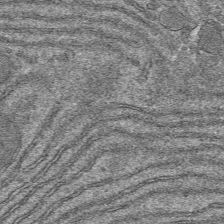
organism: Mouse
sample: Mouse hepatocytes